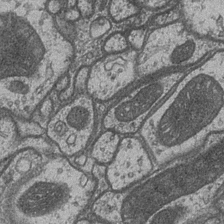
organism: Drosophila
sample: Optic medulla